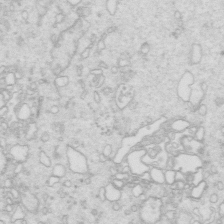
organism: Mouse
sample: Multiciliated cells